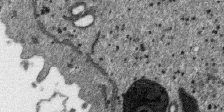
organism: Human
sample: Lung epithelial cells infected with SARS-CoV-2